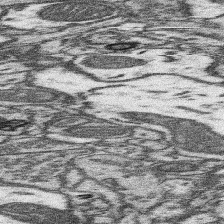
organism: Mouse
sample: Somatosensory cortex neuropil